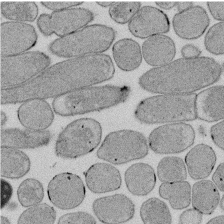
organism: E. coli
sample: Bacterial nucleoid